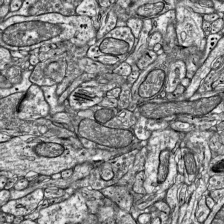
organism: Mouse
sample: Visual Cortex